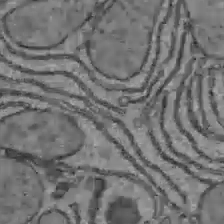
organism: C57BL Mouse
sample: Liver